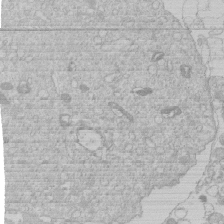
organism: Human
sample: Macrophage cells